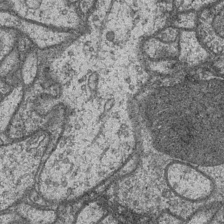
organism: Drosophila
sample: Optic medulla